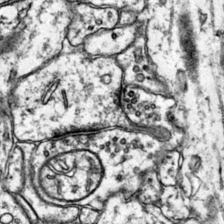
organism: Mouse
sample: Primary visual cortex